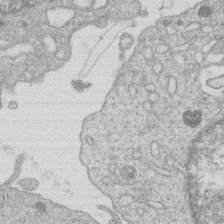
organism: Human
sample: Macrophage cells